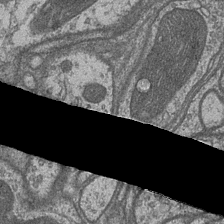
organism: Drosophila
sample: Optic medulla